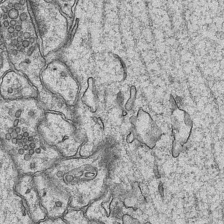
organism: Mouse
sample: CA1 Hippocampus